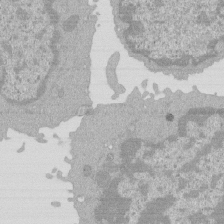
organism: Mouse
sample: Activated Pmel transgenic CD8+ T Cells